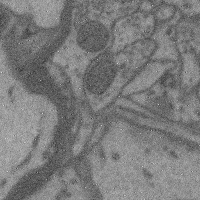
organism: Mouse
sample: Cerebral cortex